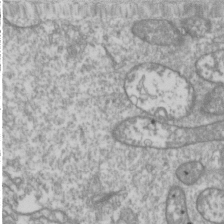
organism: Drosophila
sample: Cell division; meiosis; drosophila spermatocytes